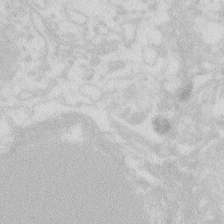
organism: Zebrafish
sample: Macrophage